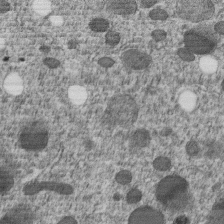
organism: C. elegans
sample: C. elegans embryo early stage